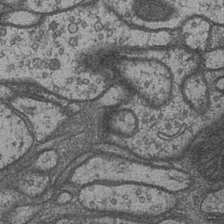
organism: Drosophila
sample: Optic medulla